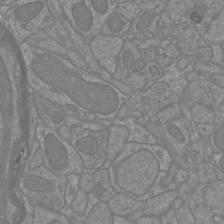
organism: Mouse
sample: Cortical neurons